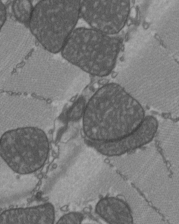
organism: C57BL Mouse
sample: Heart